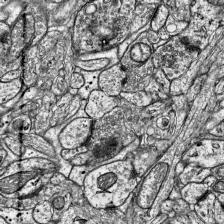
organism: Mouse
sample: Visual Cortex